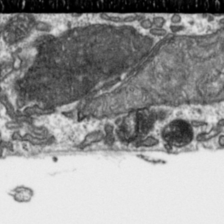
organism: Toxoplasma gondii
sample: Parasites in a vacuole inside a host cell